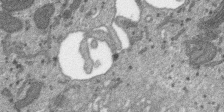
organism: Human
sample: Lung epithelial cells infected with SARS-CoV-2